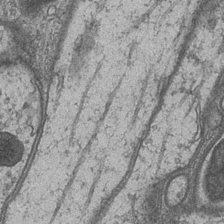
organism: Drosophila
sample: Optic medulla